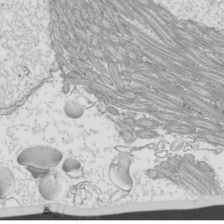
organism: Mouse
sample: Cilia; mouse epididymis